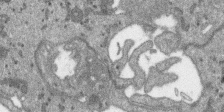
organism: Human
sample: Lung epithelial cells infected with SARS-CoV-2